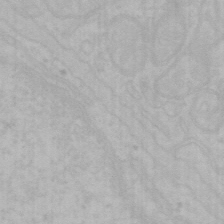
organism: Mouse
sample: Choroid plexus